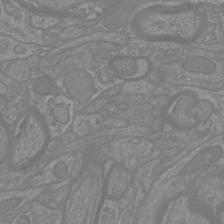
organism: Mouse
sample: Cortical neurons